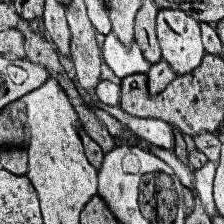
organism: Human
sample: Temporal Lobe